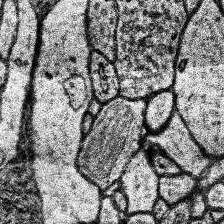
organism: Human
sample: Temporal Lobe